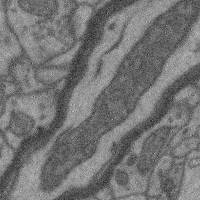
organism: Mouse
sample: Cerebral cortex